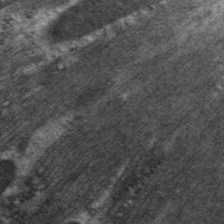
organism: C. elegans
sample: Pharynx